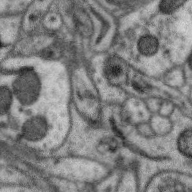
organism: Zebra finch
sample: Brain